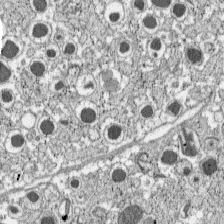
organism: C57BL Mouse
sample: Pancreatic islet